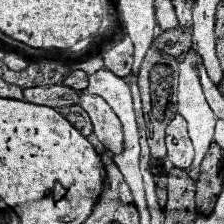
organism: Human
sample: Temporal Lobe